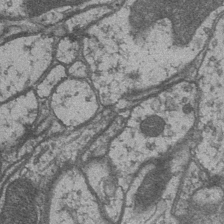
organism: Drosophila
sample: Optic medulla